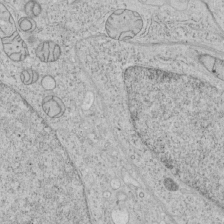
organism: Human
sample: Mitochondria in HCT116 cells